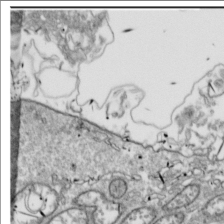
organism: Drosophila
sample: Cell division; meiosis; drosophila spermatocytes